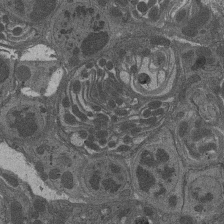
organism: Drosophila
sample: Antenna